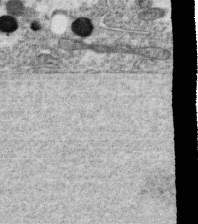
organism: C. elegans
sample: C. elegans oocyte; sperm cells